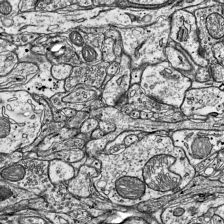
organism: Mouse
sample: Visual Cortex